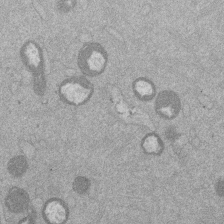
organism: Mouse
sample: Dividing mouse embryo 1 cell stage